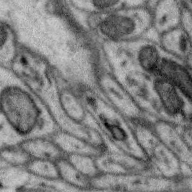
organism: Zebra finch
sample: Brain